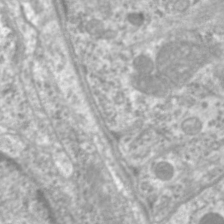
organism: C. elegans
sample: Pharynx